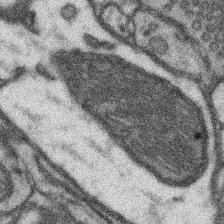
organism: Mouse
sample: Somatosensory cortex neuropil